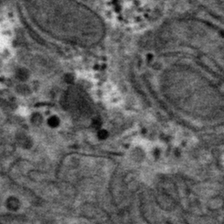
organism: Mouse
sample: Mouse hepatocytes